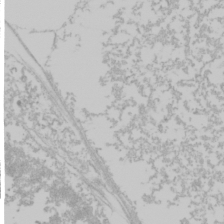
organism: Mouse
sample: Cancer cell death in ED-1 cells